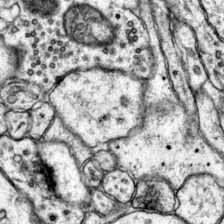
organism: Mouse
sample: Primary visual cortex